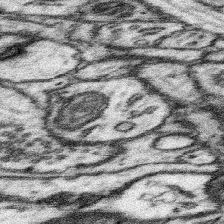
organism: Mouse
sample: Somatosensory cortex neuropil